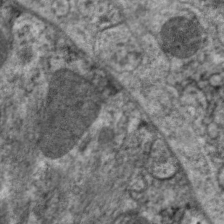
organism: C. elegans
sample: Pharynx